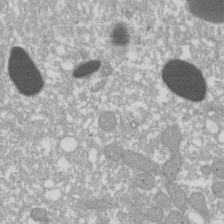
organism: Xenopus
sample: Cilia; centrioles in frog embryo cells